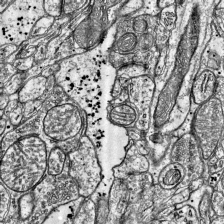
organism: Mouse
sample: Visual Cortex